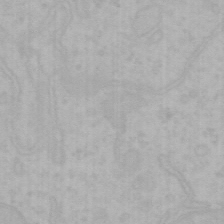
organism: Mouse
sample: Choroid plexus